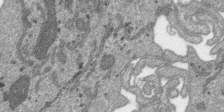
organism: Human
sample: Lung epithelial cells infected with SARS-CoV-2